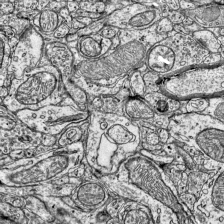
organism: Mouse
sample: Visual Cortex